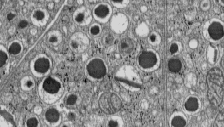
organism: C57BL Mouse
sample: Pancreatic islet